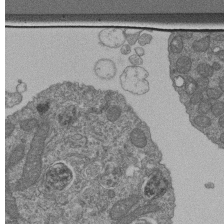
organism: Human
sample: Retinal organoid Rod and Cone cells